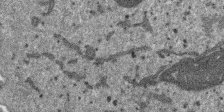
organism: Human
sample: Lung epithelial cells infected with SARS-CoV-2